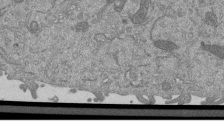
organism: Mouse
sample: ED-1 cell nuclei; centrioles